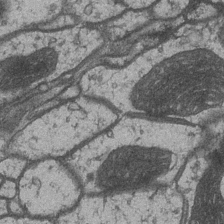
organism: Drosophila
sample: Optic medulla